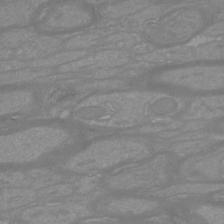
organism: Mouse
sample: Cortical neurons